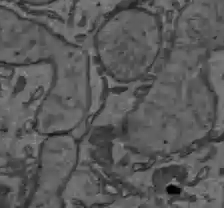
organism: C57BL Mouse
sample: Liver